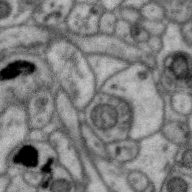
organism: Zebra finch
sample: Brain